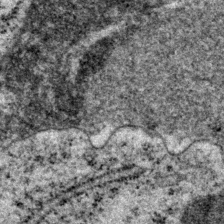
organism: P. pacificus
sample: Pharynx